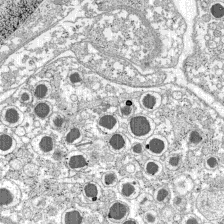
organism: C57BL Mouse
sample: Pancreatic islet